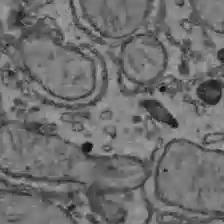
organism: C57BL Mouse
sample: Liver